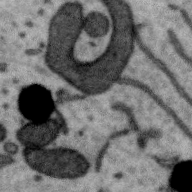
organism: Zebra finch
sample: Brain